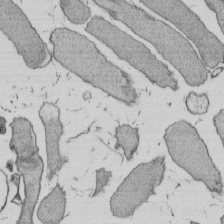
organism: E. coli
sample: Bacterial nucleoid